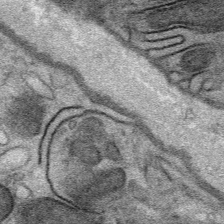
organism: Mouse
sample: Mouse Salivary gland